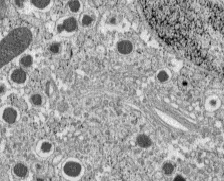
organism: C57BL Mouse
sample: Pancreatic islet